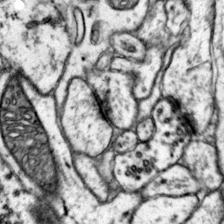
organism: Mouse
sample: Primary visual cortex